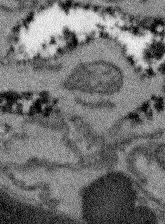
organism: Arabidopsis thaliana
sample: Root tip